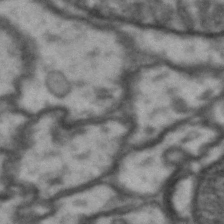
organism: Drosophila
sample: Brain